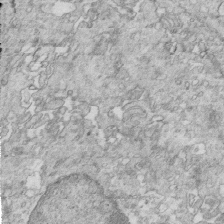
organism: Mouse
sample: Multiciliated cells